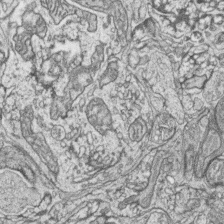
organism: Zebrafish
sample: synaptic ribbons in rod cells and cone cells